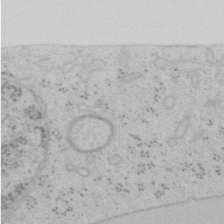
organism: Human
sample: HeLa cells